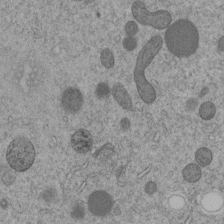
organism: C. elegans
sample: C. elegans embryo early stage